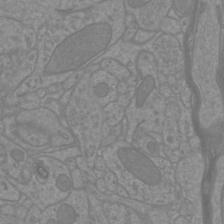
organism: Mouse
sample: Cortical neurons